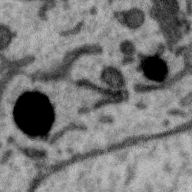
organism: Zebra finch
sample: Brain